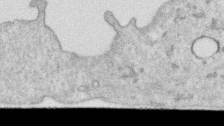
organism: Human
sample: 1205lu cells